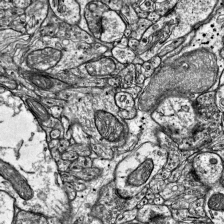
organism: Mouse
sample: Visual Cortex